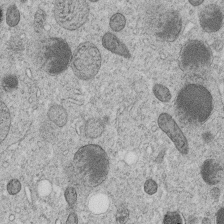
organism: C. elegans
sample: C. elegans embryo early stage